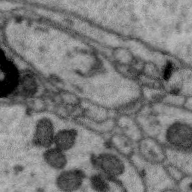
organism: Zebra finch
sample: Brain